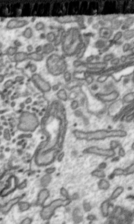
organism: Toxoplasma gondii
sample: Parasites in a vacuole inside a host cell